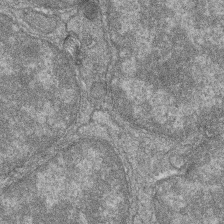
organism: Zebrafish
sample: Cilia; retinal pigment epithelium